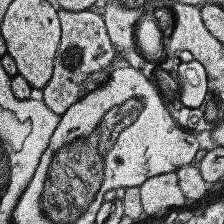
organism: Human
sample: Temporal Lobe